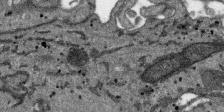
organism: Human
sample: Lung epithelial cells, uninfected (mock) control